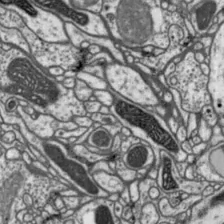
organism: Drosophila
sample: Protocerebral bridge